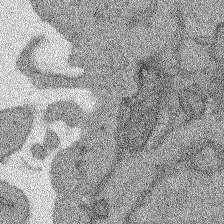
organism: Human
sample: HeLa cells